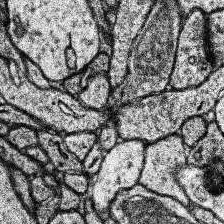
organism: Human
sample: Temporal Lobe